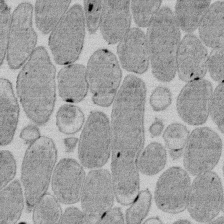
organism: E. coli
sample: Bacterial nucleoid